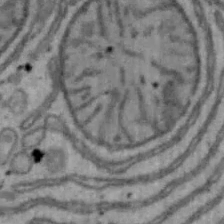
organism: Mouse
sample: Liver